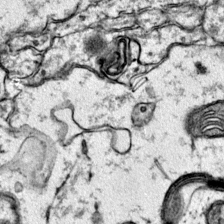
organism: Mouse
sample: Primary visual cortex